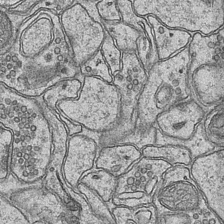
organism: Mouse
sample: CA1 Hippocampus